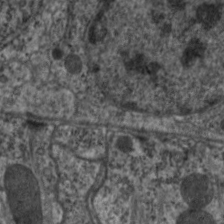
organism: C. elegans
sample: Pharynx